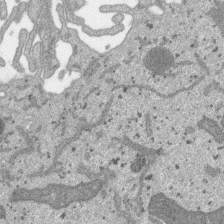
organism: Human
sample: Lung epithelial cells infected with SARS-CoV-2